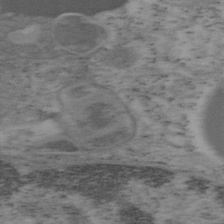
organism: Mouse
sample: OT-I killer T cells with ID8 ovarian cancer cells